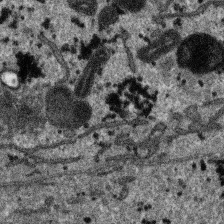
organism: Human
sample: Lung epithelial cells infected with SARS-CoV-2